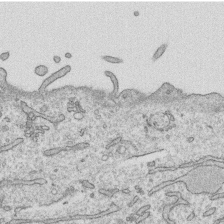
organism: Human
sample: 1205lu cells